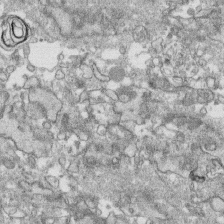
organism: Human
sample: CRL-1474